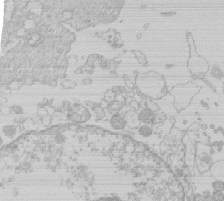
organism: Human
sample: Macrophage cells